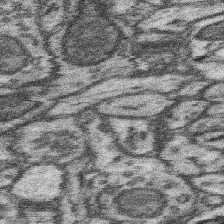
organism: Mouse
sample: Somatosensory cortex neuropil